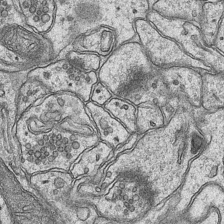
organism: Mouse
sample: CA1 Hippocampus